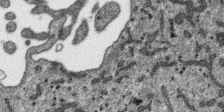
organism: Human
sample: Lung epithelial cells infected with SARS-CoV-2